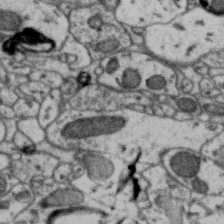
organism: Zebra finch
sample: Brain